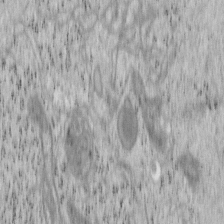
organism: Human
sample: HeLa cells